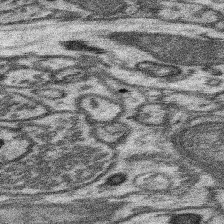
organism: Mouse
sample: Somatosensory cortex neuropil